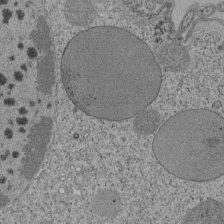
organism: Tetrahymena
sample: Cilia in tetrahymena